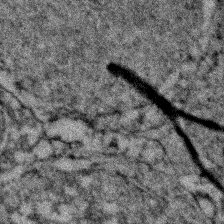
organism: Zebrafish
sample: Zebrafish embryo